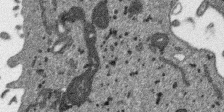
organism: Human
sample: Lung epithelial cells infected with SARS-CoV-2